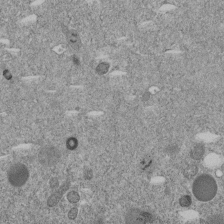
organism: C. elegans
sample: C. elegans embryo early stage